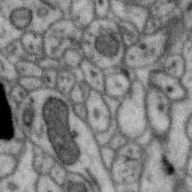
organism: Zebra finch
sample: Brain